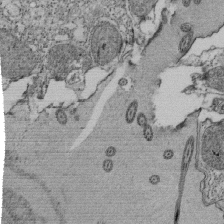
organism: Tetrahymena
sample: Cilia in tetrahymena